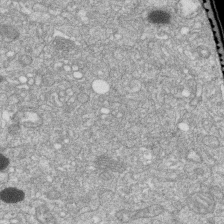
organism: Human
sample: HeLa cell HIV synapse